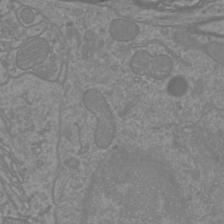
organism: Mouse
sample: Cortical neurons